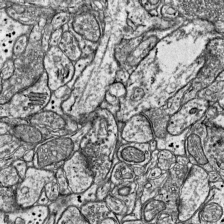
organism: Mouse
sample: Visual Cortex